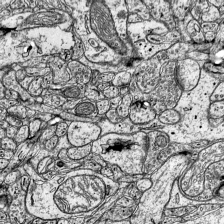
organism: Mouse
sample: Visual Cortex